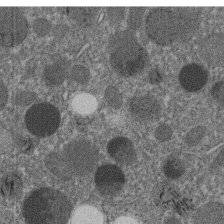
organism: C. elegans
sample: C. elegans embryo early stage